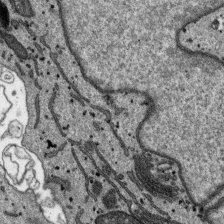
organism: Human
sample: Lung epithelial cells, uninfected (mock) control